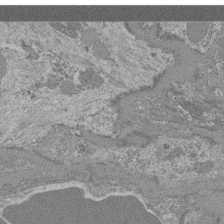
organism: Mouse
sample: Glomerulus